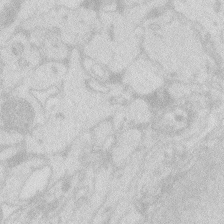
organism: Zebrafish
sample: Macrophage